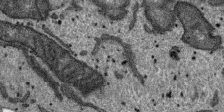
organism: Human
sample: Lung epithelial cells, uninfected (mock) control